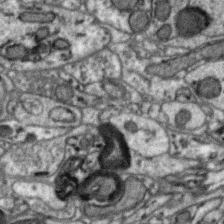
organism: Zebra finch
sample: Brain